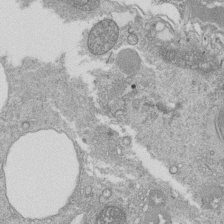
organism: Tetrahymena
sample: Cilia in tetrahymena